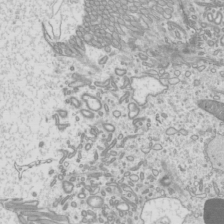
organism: Mouse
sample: Cilia; mouse epididymis